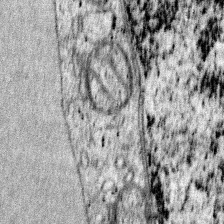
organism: Human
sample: HeLa cells